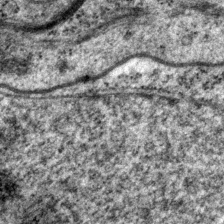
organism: P. pacificus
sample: Pharynx